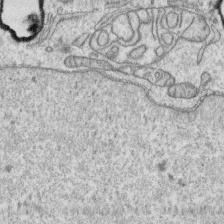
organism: Human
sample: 1205lu cells